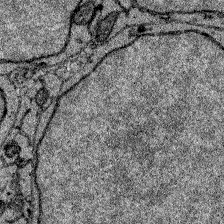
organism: Zebrafish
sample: Larval olfactory bulb